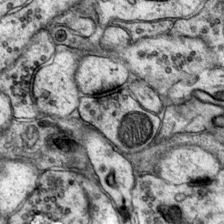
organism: Mouse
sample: Primary visual cortex